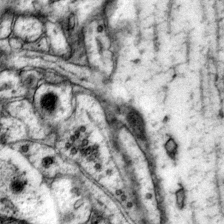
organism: Mouse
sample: Primary visual cortex